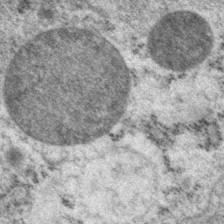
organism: P. pacificus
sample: Pharynx